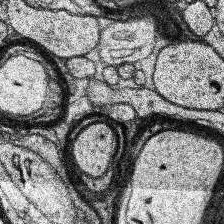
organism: Human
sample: Temporal Lobe